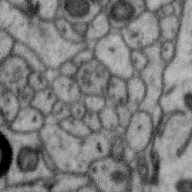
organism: Zebra finch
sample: Brain